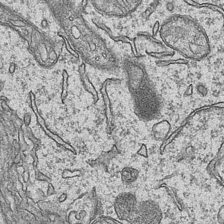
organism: Mouse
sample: CA1 Hippocampus